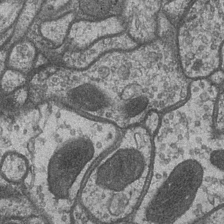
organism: Drosophila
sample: Optic medulla